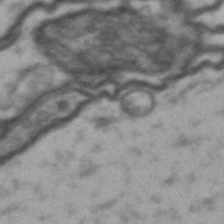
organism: Drosophila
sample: Brain